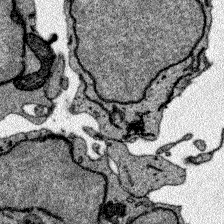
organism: Zebrafish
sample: Larval olfactory bulb